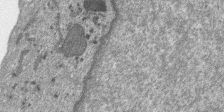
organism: Human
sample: Lung epithelial cells infected with SARS-CoV-2